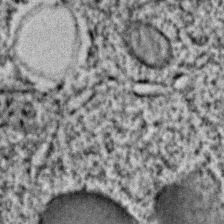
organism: C. elegans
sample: C. elegans embryo